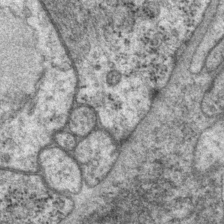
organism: P. pacificus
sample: Pharynx